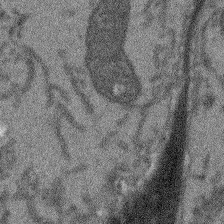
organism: Arabidopsis thaliana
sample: Root tip